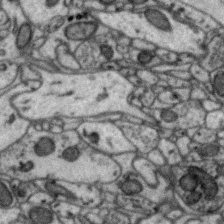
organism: Zebra finch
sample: Brain